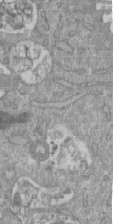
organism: Mouse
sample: ED-1 cell nuclei; centrioles